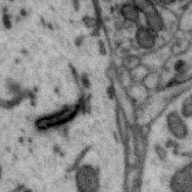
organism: Zebra finch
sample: Brain